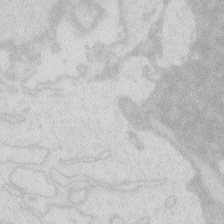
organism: Zebrafish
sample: Macrophage